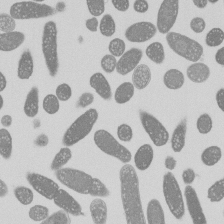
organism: E. coli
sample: Bacterial nucleoid